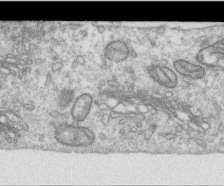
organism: Human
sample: Centriole in RPE cells